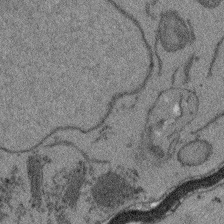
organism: Arabidopsis thaliana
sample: Root tip